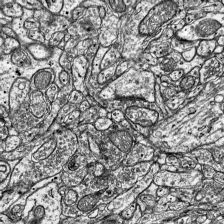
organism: Mouse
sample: Visual Cortex